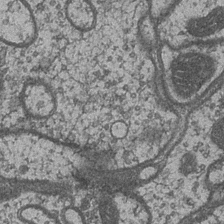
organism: Drosophila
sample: Optic medulla